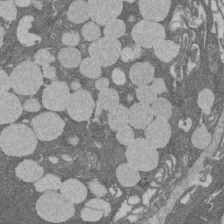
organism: Rat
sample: Salivary granule